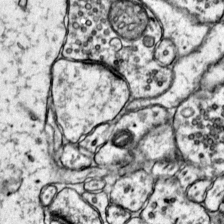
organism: Mouse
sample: Primary visual cortex